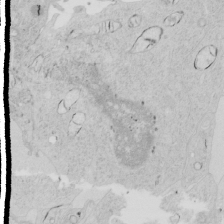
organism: Human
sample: Mitochondria in HCT116 cells